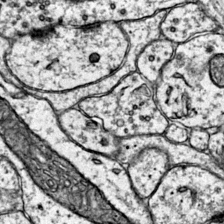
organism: Mouse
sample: Primary visual cortex